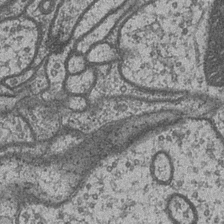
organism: Drosophila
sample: Optic medulla